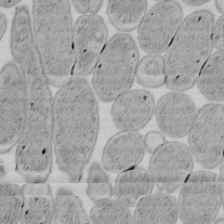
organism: E. coli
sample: Bacterial nucleoid